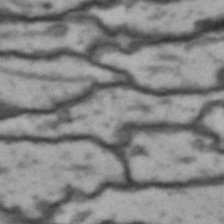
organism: Drosophila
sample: Brain